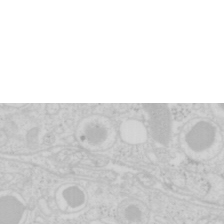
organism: Mouse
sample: Pancreas